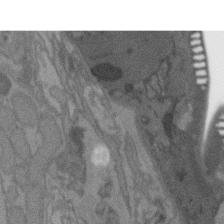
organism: C. elegans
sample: AFD neurons C. elegans